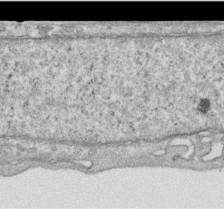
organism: Human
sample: Centriole in RPE cells